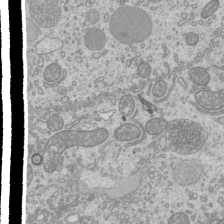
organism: Mouse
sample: Cilia; mouse epididymis